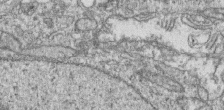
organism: Human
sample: HeLa cell HIV synapse